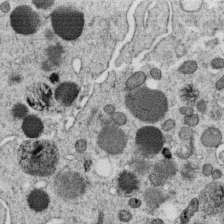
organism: C. elegans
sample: C. elegans oocyte; sperm cells